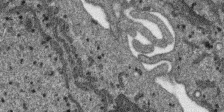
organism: Human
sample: Lung epithelial cells infected with SARS-CoV-2